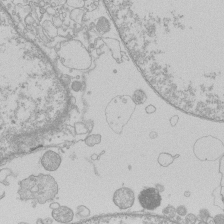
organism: Human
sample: Macrophage cells